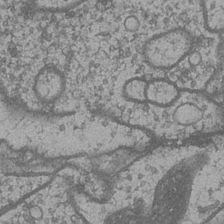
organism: Drosophila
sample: Optic medulla